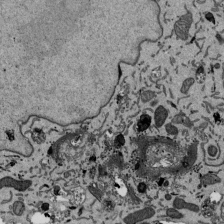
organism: Mouse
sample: ED-1 cell nuclei; centrioles